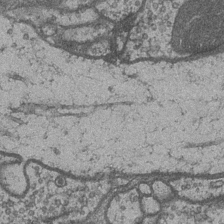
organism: Drosophila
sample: Optic medulla